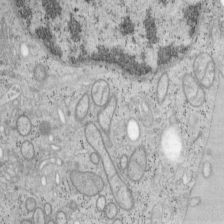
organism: Mouse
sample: OT-I killer T cells with ID8 ovarian cancer cells